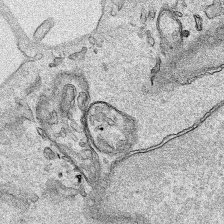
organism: Human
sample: Mitochondria in HCT116 cells